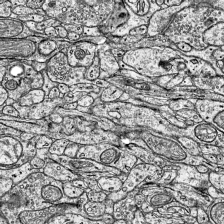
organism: Mouse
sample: Visual Cortex